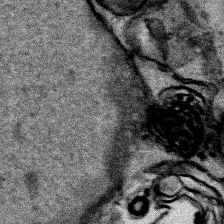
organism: Human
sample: Mitochondria in HCT116 cells